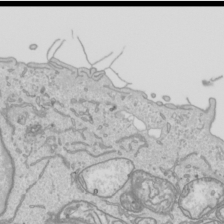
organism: Human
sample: Mitochondria in HCT116 cells